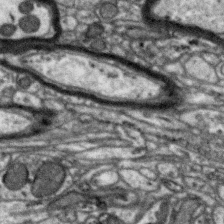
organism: Zebra finch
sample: Brain